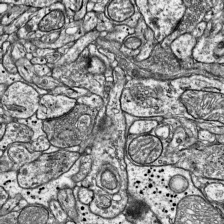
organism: Mouse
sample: Visual Cortex